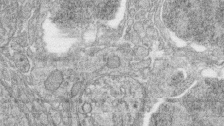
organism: Zebrafish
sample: synaptic ribbons in rod cells and cone cells